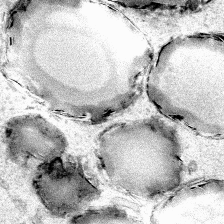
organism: Human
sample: Mitochondria in HCT116 cells